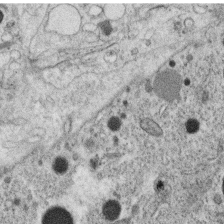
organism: C. elegans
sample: C. elegans oocyte; sperm cells